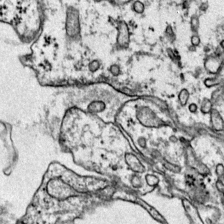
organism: Mouse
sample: Primary visual cortex